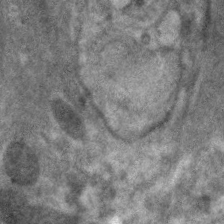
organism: C. elegans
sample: Pharynx